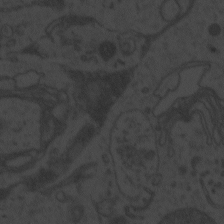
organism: Zebrafish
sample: Macrophage infected with Toxoplasma gondii